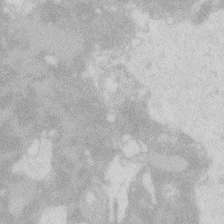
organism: Zebrafish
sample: Macrophage